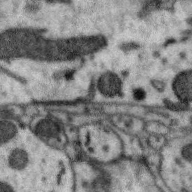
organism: Zebra finch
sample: Brain